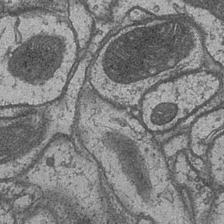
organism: Drosophila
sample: Optic medulla